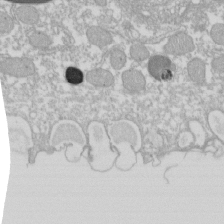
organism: Xenopus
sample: Cilia; centrioles in frog embryo cells